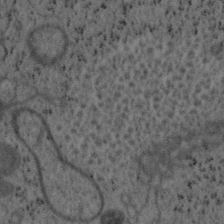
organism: Human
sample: HeLa cells